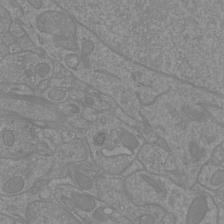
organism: Mouse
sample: Cortical neurons